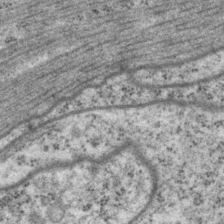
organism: P. pacificus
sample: Pharynx